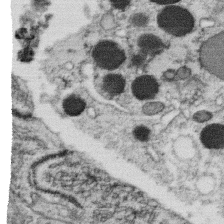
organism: C. elegans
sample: C. elegans oocyte; sperm cells